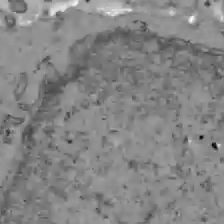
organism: C57BL Mouse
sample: Liver